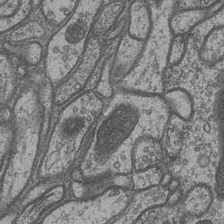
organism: Drosophila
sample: Optic medulla